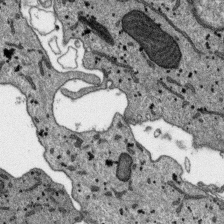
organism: Human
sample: Lung epithelial cells, uninfected (mock) control